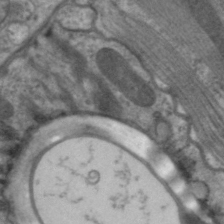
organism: C. elegans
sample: Pharynx